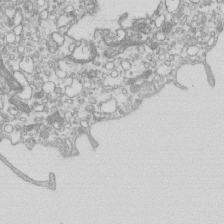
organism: Mouse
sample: Macrophages